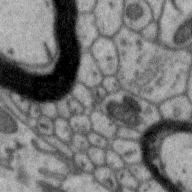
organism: Zebra finch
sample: Brain